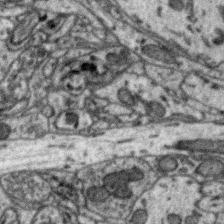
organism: Zebra finch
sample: Brain